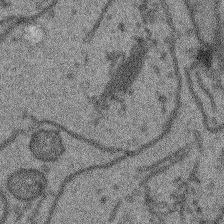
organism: Arabidopsis thaliana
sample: Root tip